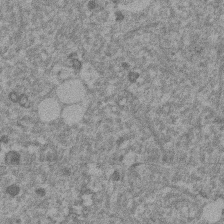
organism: Mouse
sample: Dividing mouse embryo 1 cell stage